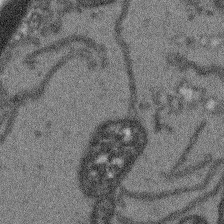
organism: Arabidopsis thaliana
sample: Root tip